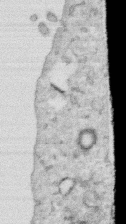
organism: Human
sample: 1205lu cells